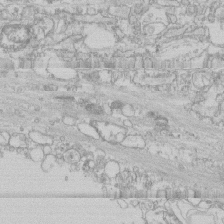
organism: Human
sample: CRL-1474